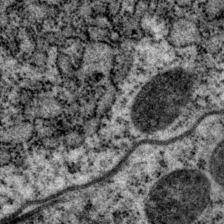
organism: P. pacificus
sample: Pharynx